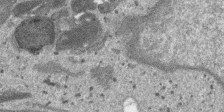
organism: Human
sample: Lung epithelial cells infected with SARS-CoV-2